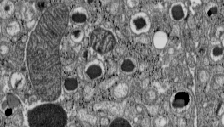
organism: C57BL Mouse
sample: Pancreatic islet